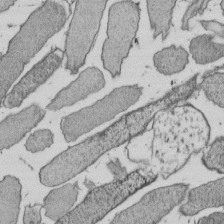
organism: E. coli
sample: Bacterial nucleoid